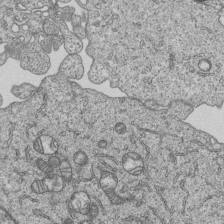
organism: Human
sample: MDA-MB-231 cells